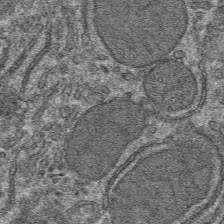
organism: Mouse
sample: Mouse hepatocytes